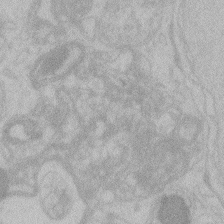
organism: Zebrafish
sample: Macrophage infected with Toxoplasma gondii